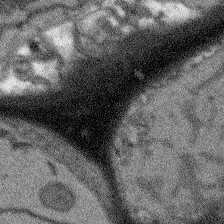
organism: Arabidopsis thaliana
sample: Root tip